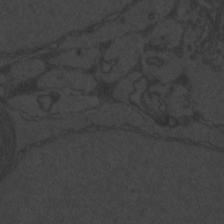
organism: Zebrafish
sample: Macrophage infected with Toxoplasma gondii